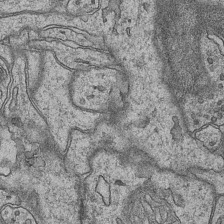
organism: Mouse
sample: CA1 Hippocampus